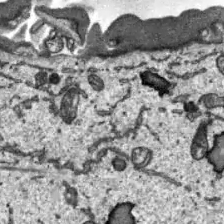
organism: Human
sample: HeLa cells